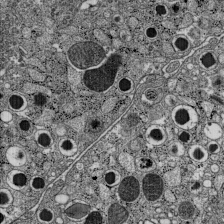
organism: C57BL Mouse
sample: Pancreatic islet